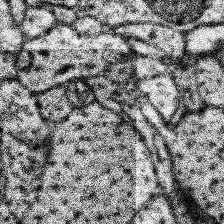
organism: Human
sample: Temporal Lobe